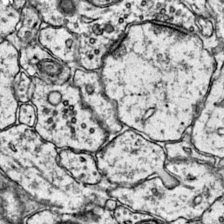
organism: Mouse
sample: Primary visual cortex